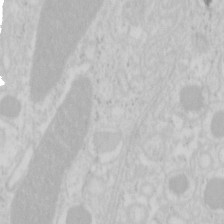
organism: Mouse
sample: Pancreas